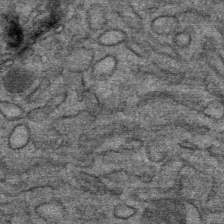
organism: Mouse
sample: Mouse Salivary gland